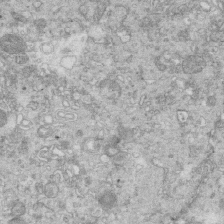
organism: Mouse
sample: Multiciliated cells